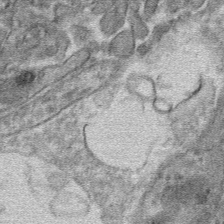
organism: Mouse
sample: Mouse hepatocytes